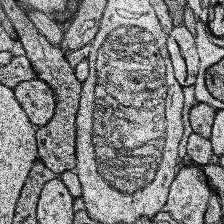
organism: Human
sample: Temporal Lobe